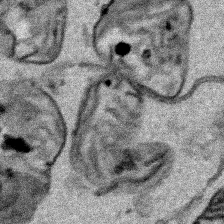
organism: Human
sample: Mitochondria in HCT116 cells